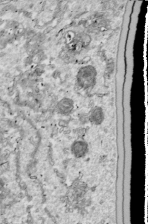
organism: Drosophila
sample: Cell division; meiosis; drosophila spermatocytes